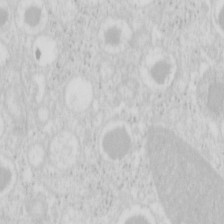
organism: Mouse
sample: Pancreas